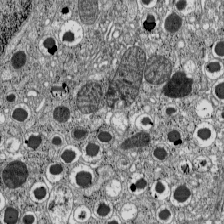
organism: C57BL Mouse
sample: Pancreatic islet